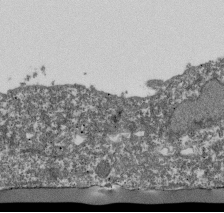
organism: Dictyostelium discoideum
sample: Dictyostelium multivesicular bodies